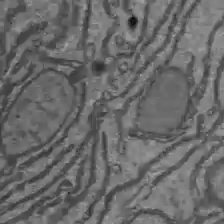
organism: C57BL Mouse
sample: Liver